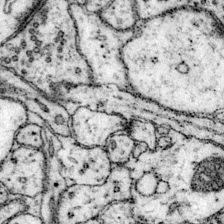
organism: Mouse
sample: Primary visual cortex